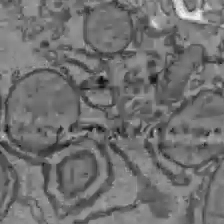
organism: C57BL Mouse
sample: Liver